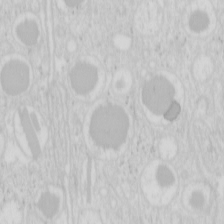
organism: Mouse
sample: Pancreas